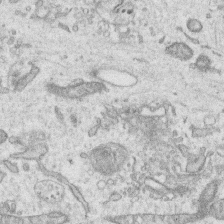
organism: Human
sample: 1205lu cells